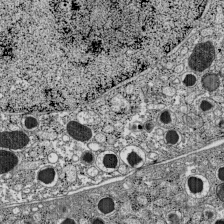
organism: C57BL Mouse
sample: Pancreatic islet